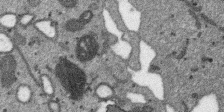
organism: Human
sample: Lung epithelial cells infected with SARS-CoV-2